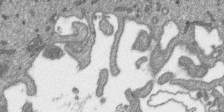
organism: Human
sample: Lung epithelial cells infected with SARS-CoV-2